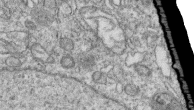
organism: Human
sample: HeLa cell HIV synapse